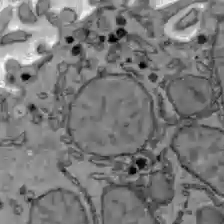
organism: C57BL Mouse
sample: Liver